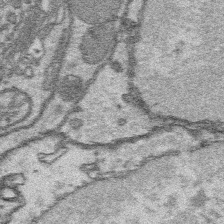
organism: Platynereis dumerilii